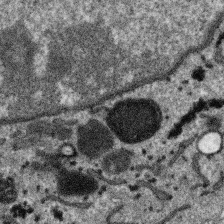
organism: Human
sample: Lung epithelial cells infected with SARS-CoV-2